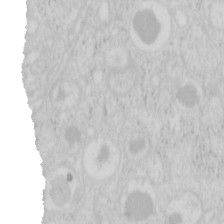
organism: Mouse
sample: Pancreas